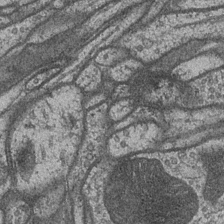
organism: Drosophila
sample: Optic medulla